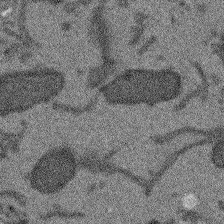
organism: Arabidopsis thaliana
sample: Root tip